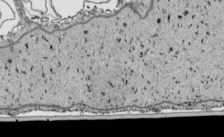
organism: Human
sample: Mitochondria in HCT116 cells